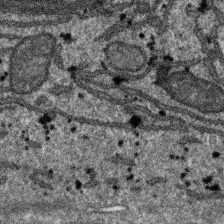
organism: Human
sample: Lung epithelial cells infected with SARS-CoV-2